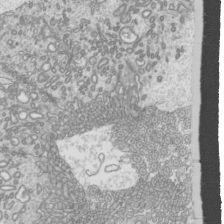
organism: Mouse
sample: Cilia; mouse epididymis